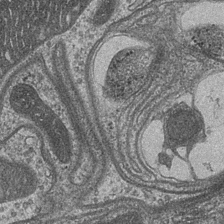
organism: Drosophila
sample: Optic medulla